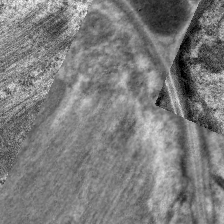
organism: C. elegans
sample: Pharynx